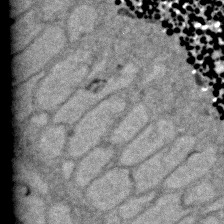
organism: Zebrafish